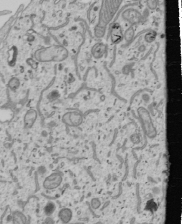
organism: Human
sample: Mitochondria in U2OS cells